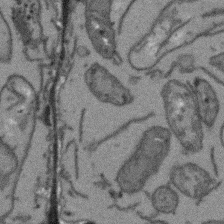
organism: Arabidopsis thaliana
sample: Root tip